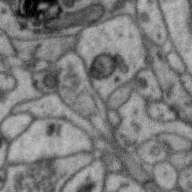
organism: Zebra finch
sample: Brain